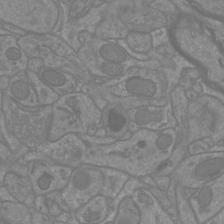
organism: Mouse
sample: Cortical neurons